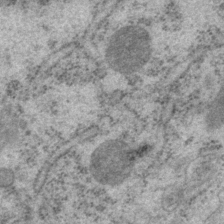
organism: P. pacificus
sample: Pharynx